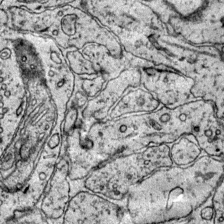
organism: Mouse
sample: Primary visual cortex